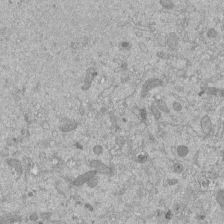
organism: Mouse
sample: ED-1 cell nuclei; centrioles